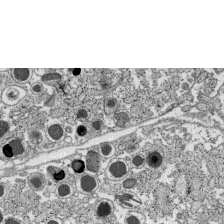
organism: C57BL Mouse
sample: Pancreatic islet